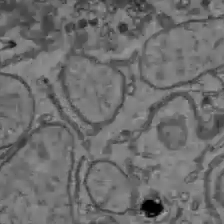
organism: C57BL Mouse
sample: Liver